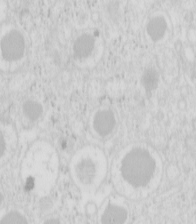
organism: Mouse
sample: Pancreas